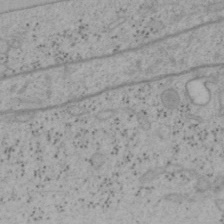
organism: Human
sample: HeLa cells